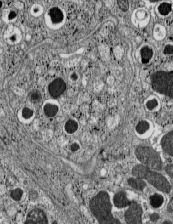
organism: C57BL Mouse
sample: Pancreatic islet